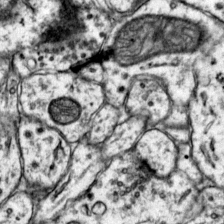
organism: Mouse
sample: Primary visual cortex